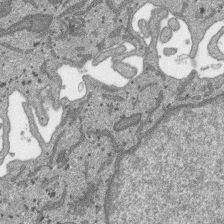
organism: Human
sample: Lung epithelial cells infected with SARS-CoV-2